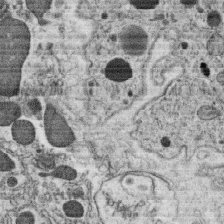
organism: C. elegans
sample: C. elegans oocyte; sperm cells